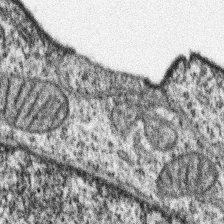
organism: Human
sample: HeLa cells